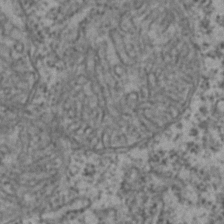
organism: Zebrafish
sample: Zebrafish embryo